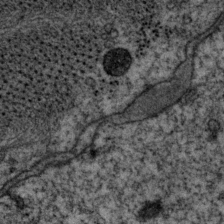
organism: P. pacificus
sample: Pharynx